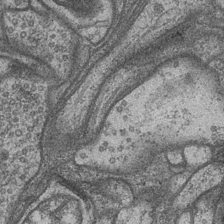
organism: Drosophila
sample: Optic medulla